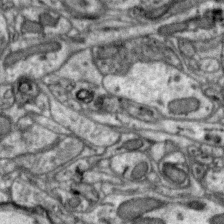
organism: Zebra finch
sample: Brain